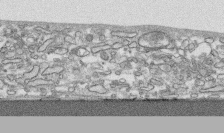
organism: Human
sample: CRL-1474